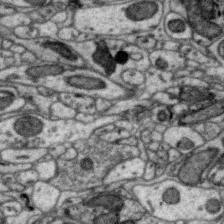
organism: Zebra finch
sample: Brain